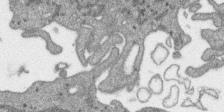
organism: Human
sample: Lung epithelial cells infected with SARS-CoV-2